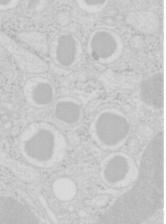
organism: Mouse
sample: Pancreas